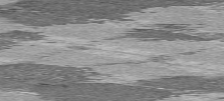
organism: C57BL Mouse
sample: Heart